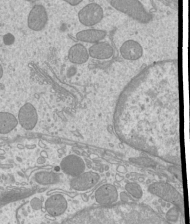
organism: Mouse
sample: Cilia; mouse epididymis